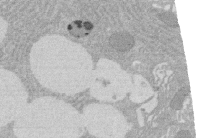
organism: Rat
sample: Salivary granule